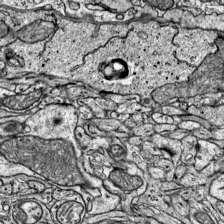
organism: Mouse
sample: Visual Cortex